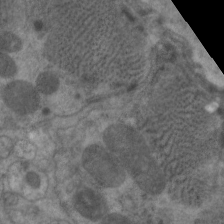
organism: C. elegans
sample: Pharynx